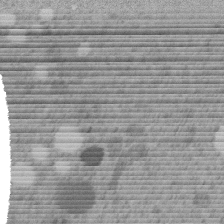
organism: C. elegans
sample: C. elegans embryo early stage